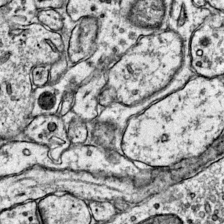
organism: Mouse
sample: Primary visual cortex